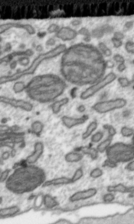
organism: Toxoplasma gondii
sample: Parasites in a vacuole inside a host cell